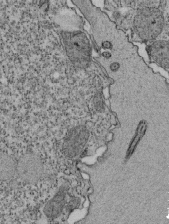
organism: Tetrahymena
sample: Cilia in tetrahymena